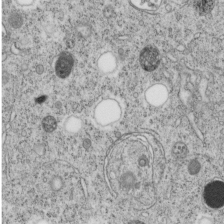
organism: C. elegans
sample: C. elegans embryo early stage